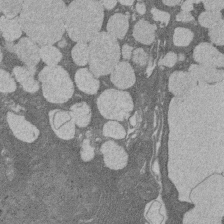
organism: Rat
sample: Salivary granule